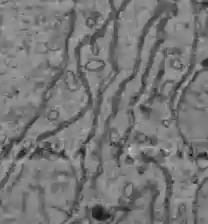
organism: C57BL Mouse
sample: Liver